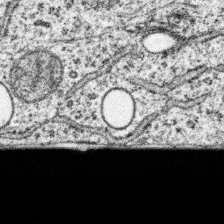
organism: Human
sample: HeLa cells